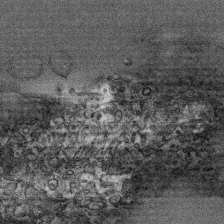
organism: Human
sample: CRL-1474